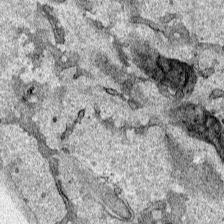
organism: Human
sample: Mitochondria in HCT116 cells